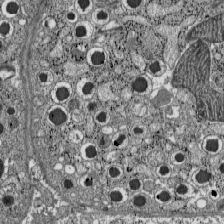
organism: C57BL Mouse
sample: Pancreatic islet